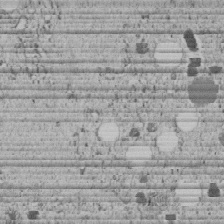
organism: C. elegans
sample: C. elegans embryo early stage